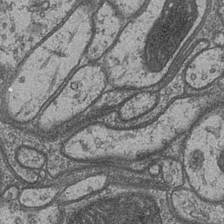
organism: Drosophila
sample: Optic medulla